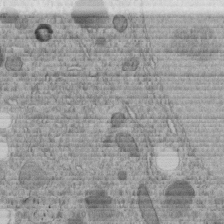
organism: C. elegans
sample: C. elegans embryo early stage